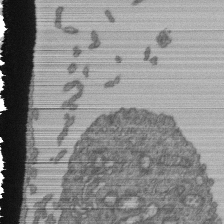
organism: Human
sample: Retinal organoid Rod and Cone cells